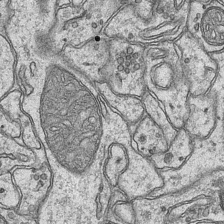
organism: Mouse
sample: CA1 Hippocampus